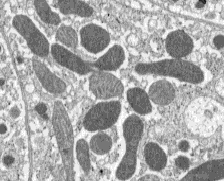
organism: C57BL Mouse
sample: Pancreatic islet